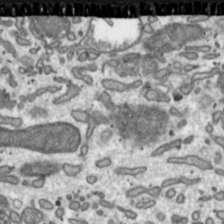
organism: Toxoplasma gondii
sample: Parasites in a vacuole inside a host cell